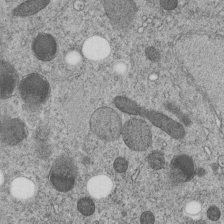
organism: C. elegans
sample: C. elegans embryo early stage